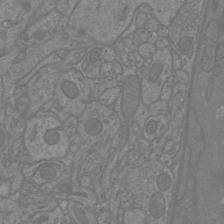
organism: Mouse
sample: Cortical neurons